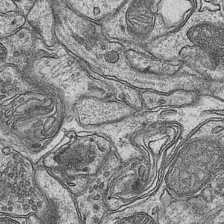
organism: Mouse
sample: CA1 Hippocampus